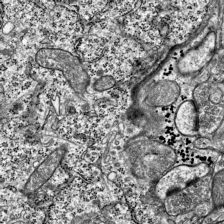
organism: Mouse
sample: Visual Cortex